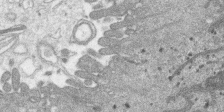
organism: Human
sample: Lung epithelial cells infected with SARS-CoV-2